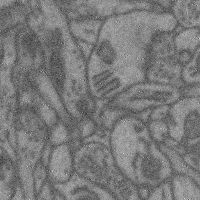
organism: Mouse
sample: Cerebral cortex